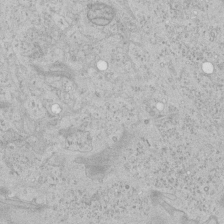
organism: Human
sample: Mitochondria in HCT116 cells